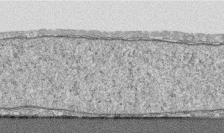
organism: Human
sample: CRL-1474